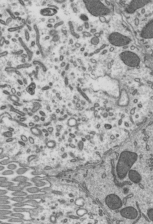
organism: Mouse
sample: Mouse epididymis efferent ductule cilia